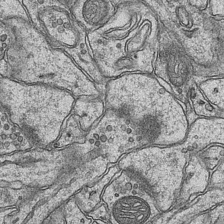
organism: Mouse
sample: CA1 Hippocampus